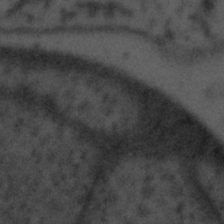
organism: Tuwongella immobilis